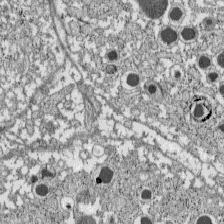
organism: C57BL Mouse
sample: Pancreatic islet